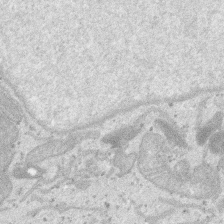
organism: Human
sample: Lung epithelial cells infected with SARS-CoV-2